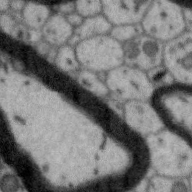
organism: Zebra finch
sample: Brain